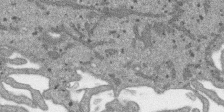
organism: Human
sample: Lung epithelial cells infected with SARS-CoV-2